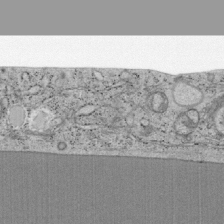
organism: Human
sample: HeLa cells